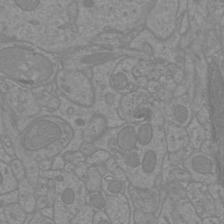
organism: Mouse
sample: Cortical neurons